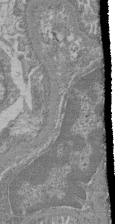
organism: Mouse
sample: Glomerulus